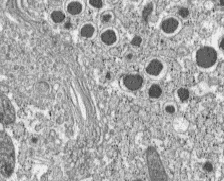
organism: C57BL Mouse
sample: Pancreatic islet